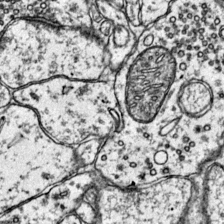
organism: Mouse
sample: Primary visual cortex